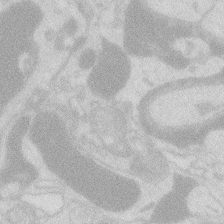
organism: Zebrafish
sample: Macrophage